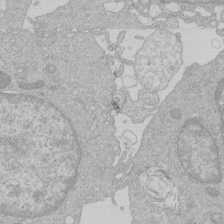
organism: Human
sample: Macrophage cells